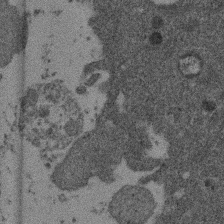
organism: Mouse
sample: Dividing mouse embryo 1 cell stage